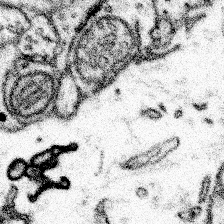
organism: Mouse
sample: Somatosensory cortex neuropil